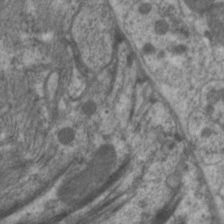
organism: C. elegans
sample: Pharynx